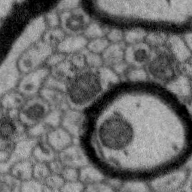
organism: Zebra finch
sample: Brain